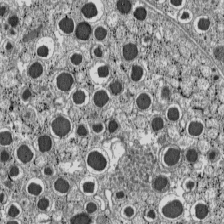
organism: C57BL Mouse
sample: Pancreatic islet